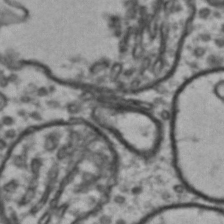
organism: Drosophila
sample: Brain